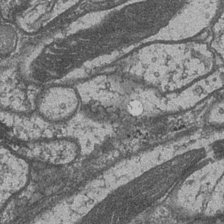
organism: Drosophila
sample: Optic medulla